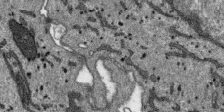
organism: Human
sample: Lung epithelial cells, uninfected (mock) control